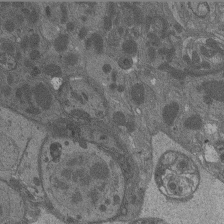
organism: Drosophila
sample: Antenna